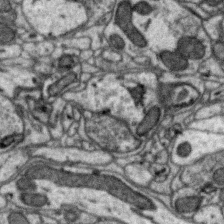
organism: Zebra finch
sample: Brain